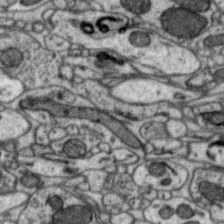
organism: Zebra finch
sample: Brain